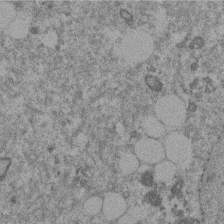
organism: Mouse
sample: Dividing mouse embryo 1 cell stage